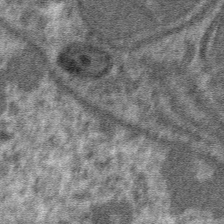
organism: Mouse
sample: Mouse hepatocytes